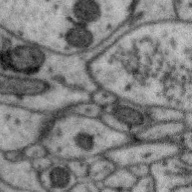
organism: Zebra finch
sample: Brain